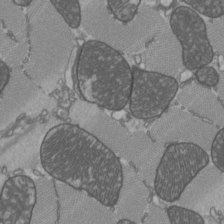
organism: C57BL Mouse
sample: Heart